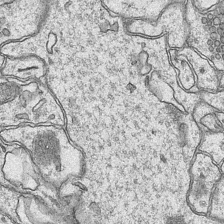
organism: Mouse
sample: CA1 Hippocampus